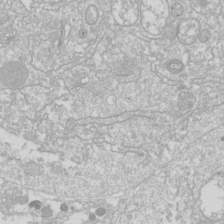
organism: Drosophila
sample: Cell division; meiosis; drosophila spermatocytes